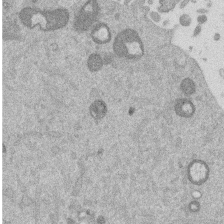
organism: Mouse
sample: Dividing mouse embryo 1 cell stage